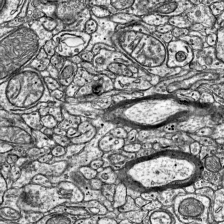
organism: Mouse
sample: Visual Cortex